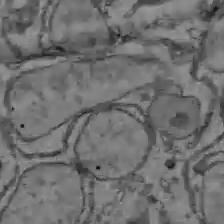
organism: C57BL Mouse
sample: Liver